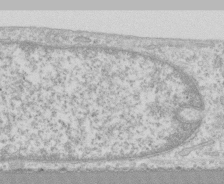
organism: Human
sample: CRL-1474